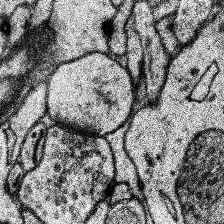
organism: Human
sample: Temporal Lobe